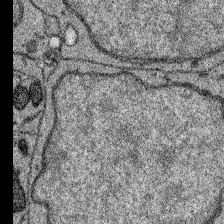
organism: Zebrafish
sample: Larval olfactory bulb